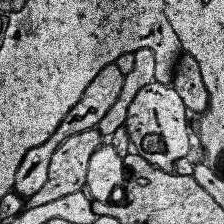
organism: Human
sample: Temporal Lobe